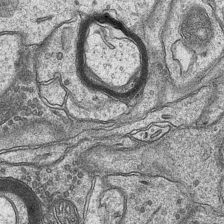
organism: Mouse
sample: CA1 Hippocampus